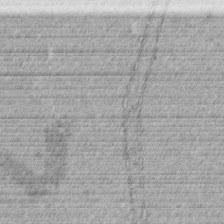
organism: C. elegans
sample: C. elegans embryo early stage